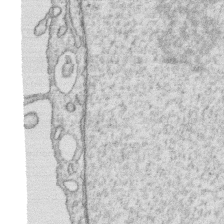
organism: Human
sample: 1205lu cells